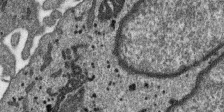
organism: Human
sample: Lung epithelial cells infected with SARS-CoV-2